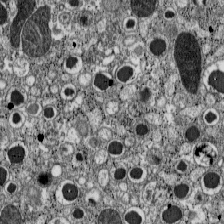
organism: C57BL Mouse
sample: Pancreatic islet